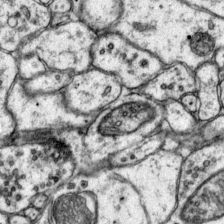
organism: Mouse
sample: Primary visual cortex